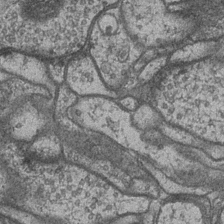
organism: Drosophila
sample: Optic medulla